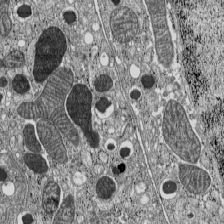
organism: C57BL Mouse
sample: Pancreatic islet